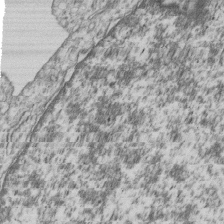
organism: Human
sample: MDA-MB-231 cells